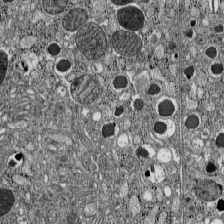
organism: C57BL Mouse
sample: Pancreatic islet